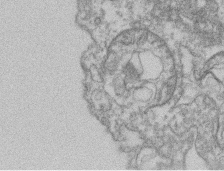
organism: Mouse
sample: T cell stromal cell synapse